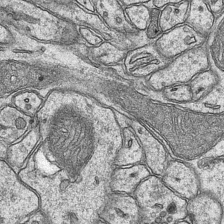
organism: Mouse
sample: CA1 Hippocampus